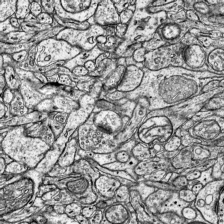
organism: Mouse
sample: Visual Cortex